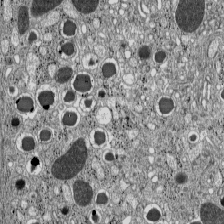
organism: C57BL Mouse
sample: Pancreatic islet